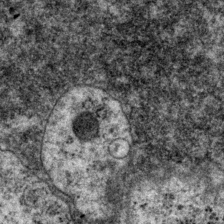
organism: P. pacificus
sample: Pharynx